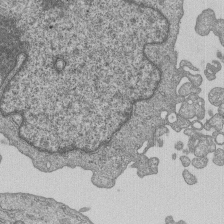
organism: Human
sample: MDA-MB-231 cells